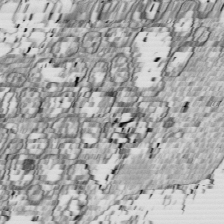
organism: Drosophila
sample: Cell division; meiosis; drosophila spermatocytes